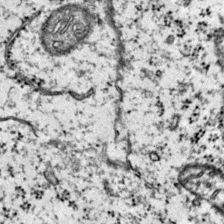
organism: Mouse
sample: Primary visual cortex